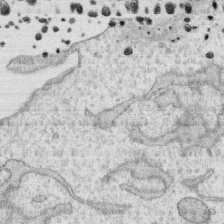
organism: Human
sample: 1205lu cells